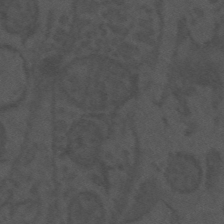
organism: Mouse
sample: Suprachiasmatic nucleus